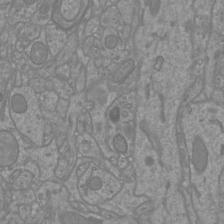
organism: Mouse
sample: Cortical neurons